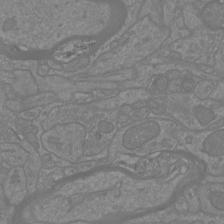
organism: Mouse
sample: Cortical neurons